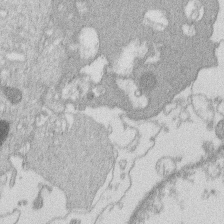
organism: Human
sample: Macrophage cells